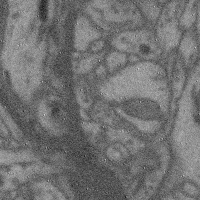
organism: Mouse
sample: Cerebral cortex